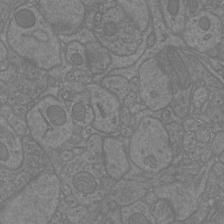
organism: Mouse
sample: Cortical neurons